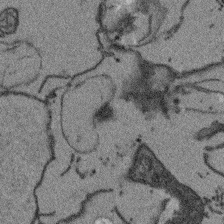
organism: Arabidopsis thaliana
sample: Root tip